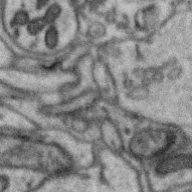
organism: Zebra finch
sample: Brain